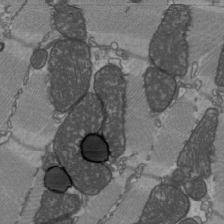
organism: C57BL Mouse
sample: Heart